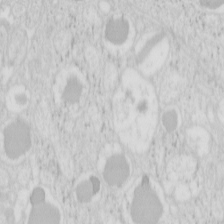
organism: Mouse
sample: Pancreas